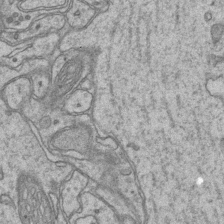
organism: Mouse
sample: CA1 Hippocampus